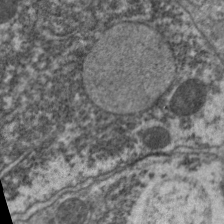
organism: C. elegans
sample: Pharynx